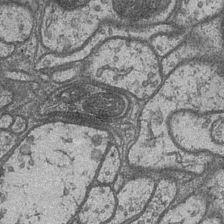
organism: Drosophila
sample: Optic medulla